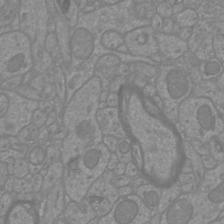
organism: Mouse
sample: Cortical neurons